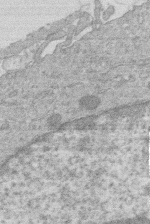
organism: Human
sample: Macrophage cells